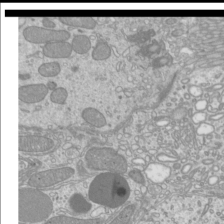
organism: Mouse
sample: Cilia; mouse epididymis